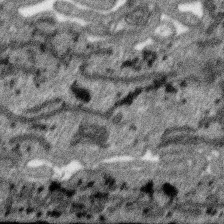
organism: Human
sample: Lung epithelial cells infected with SARS-CoV-2